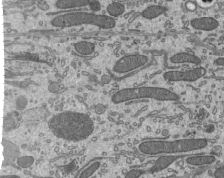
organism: Mouse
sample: Mouse epididymis efferent ductule cilia